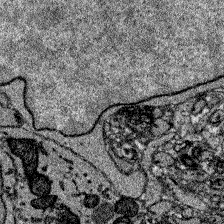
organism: Zebrafish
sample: Larval olfactory bulb